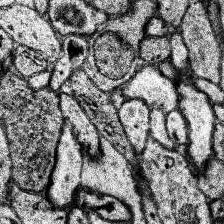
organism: Human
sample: Temporal Lobe